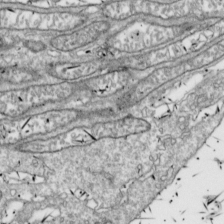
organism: Drosophila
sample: Cell division; meiosis; drosophila spermatocytes